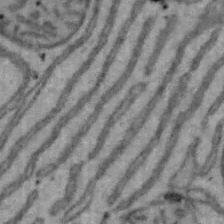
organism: Mouse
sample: Liver